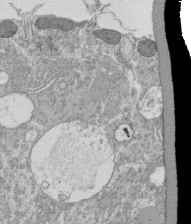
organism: Tetrahymena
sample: Cilia in tetrahymena